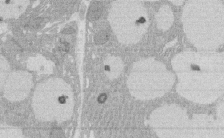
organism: Rat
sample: Salivary granule